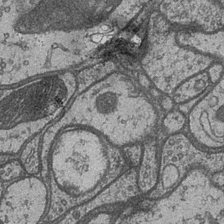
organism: Drosophila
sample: Optic medulla